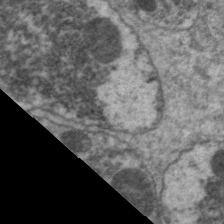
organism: C. elegans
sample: Pharynx